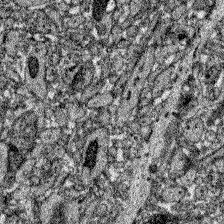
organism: Zebrafish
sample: Larval olfactory bulb